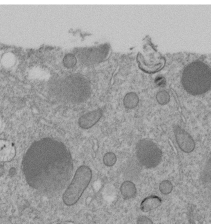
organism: C. elegans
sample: C. elegans embryo early stage